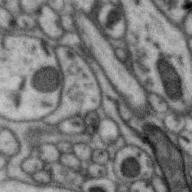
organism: Zebra finch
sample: Brain